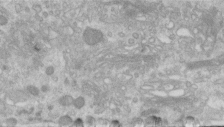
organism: Human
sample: Centriole in RPE cells